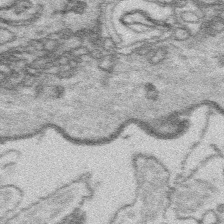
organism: Platynereis dumerilii